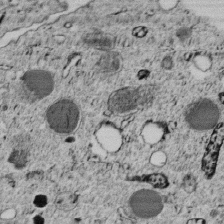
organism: C. elegans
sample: C. elegans embryo early stage